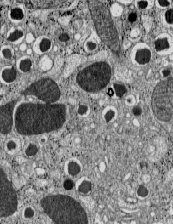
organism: C57BL Mouse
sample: Pancreatic islet